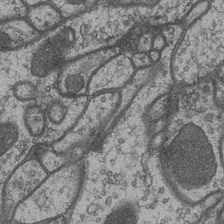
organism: Drosophila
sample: Optic medulla